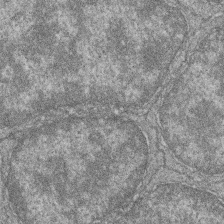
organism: Zebrafish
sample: Cilia; retinal pigment epithelium